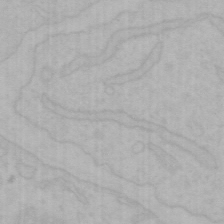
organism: Mouse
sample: Choroid plexus